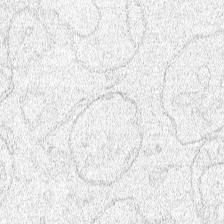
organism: Human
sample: Mitochondria in HCT116 cells